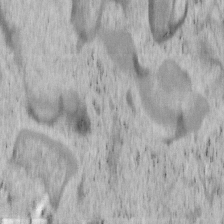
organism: Human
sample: HeLa cells